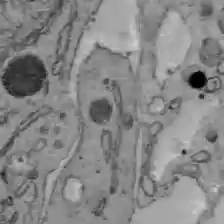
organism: C57BL Mouse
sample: Liver